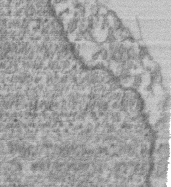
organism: Mouse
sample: T cell stromal cell synapse